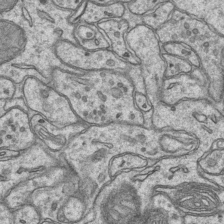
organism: Mouse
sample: CA1 Hippocampus